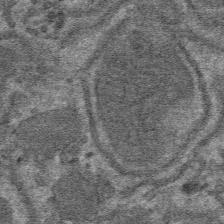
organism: Mouse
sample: Mouse hepatocytes